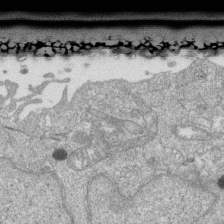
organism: Human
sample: HeLa cell HIV synapse